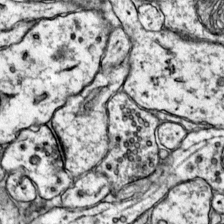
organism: Mouse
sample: Primary visual cortex